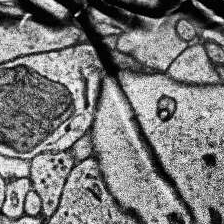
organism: Human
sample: Temporal Lobe